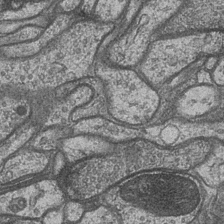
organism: Drosophila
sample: Optic medulla